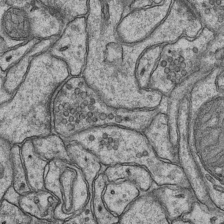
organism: Mouse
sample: CA1 Hippocampus